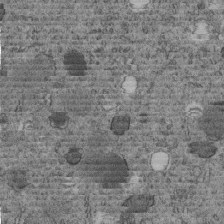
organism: C. elegans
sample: C. elegans embryo early stage